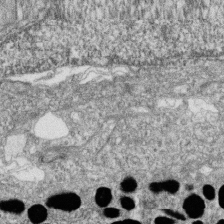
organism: Zebrafish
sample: Cilia; retinal pigment epithelium